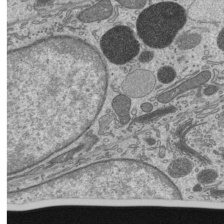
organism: Mouse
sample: Mouse epididymis efferent ductule cilia